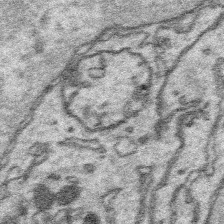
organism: Platynereis dumerilii